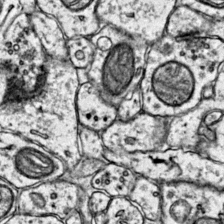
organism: Mouse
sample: Primary visual cortex